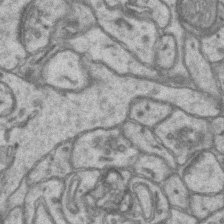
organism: Mouse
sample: CA1 Hippocampus